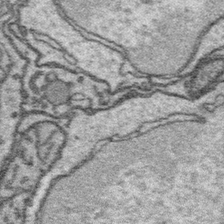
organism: Platynereis dumerilii